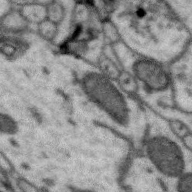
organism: Zebra finch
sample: Brain